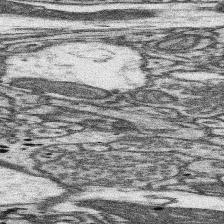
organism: Mouse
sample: Somatosensory cortex neuropil